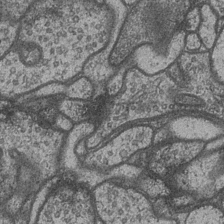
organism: Drosophila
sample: Optic medulla